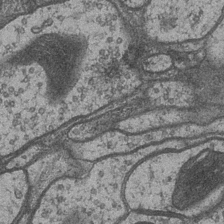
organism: Drosophila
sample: Optic medulla